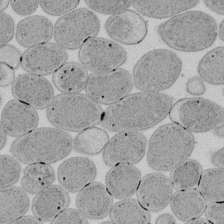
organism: E. coli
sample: Bacterial nucleoid